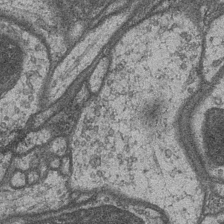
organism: Drosophila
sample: Optic medulla